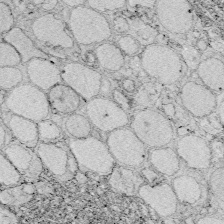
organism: Zebrafish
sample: Whole-Brain